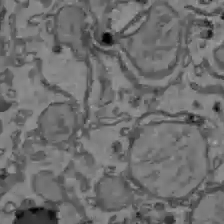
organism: C57BL Mouse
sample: Liver